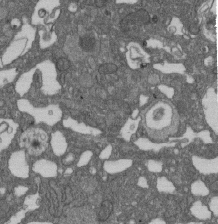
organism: Drosophila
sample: Nephrocyte